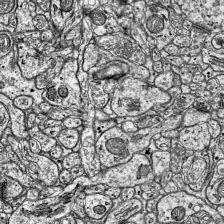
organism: Mouse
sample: Visual Cortex